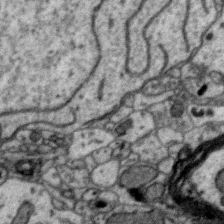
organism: Zebra finch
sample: Brain